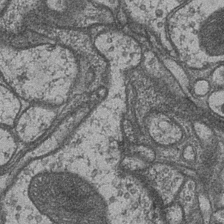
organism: Drosophila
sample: Optic medulla